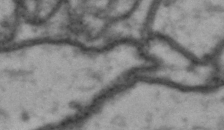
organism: Drosophila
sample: Brain